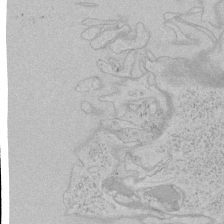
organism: Human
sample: Mitochondria in HCT116 cells